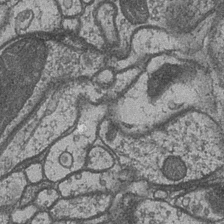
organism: Drosophila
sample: Optic medulla